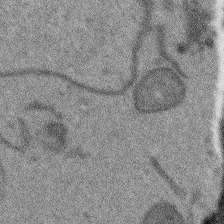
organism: Arabidopsis thaliana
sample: Root tip